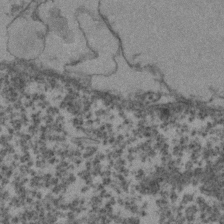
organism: Zebrafish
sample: Zebrafish embryo